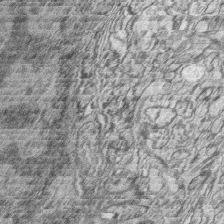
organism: Zebrafish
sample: synaptic ribbons in rod cells and cone cells